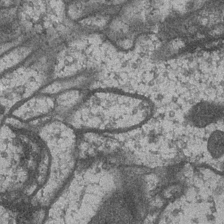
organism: Drosophila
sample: Optic medulla